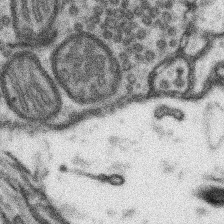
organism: Mouse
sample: Somatosensory cortex neuropil